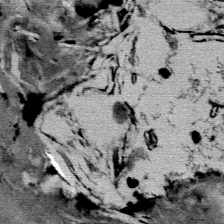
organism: Mouse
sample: Mouse Salivary gland